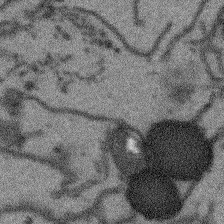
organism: Arabidopsis thaliana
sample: Root tip